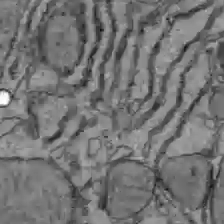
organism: C57BL Mouse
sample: Liver